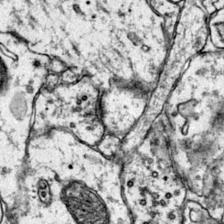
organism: Mouse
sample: Primary visual cortex